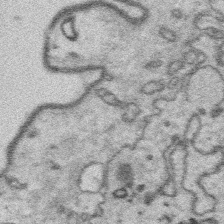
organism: Platynereis dumerilii